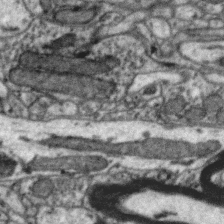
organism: Zebra finch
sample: Brain